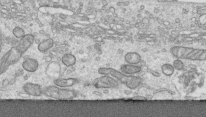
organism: Human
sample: Centriole in RPE cells